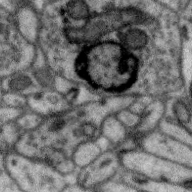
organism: Zebra finch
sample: Brain